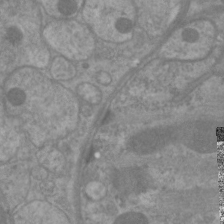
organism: C. elegans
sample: Pharynx